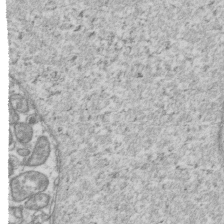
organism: Human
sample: Activated Jurkat CD4+ T cells